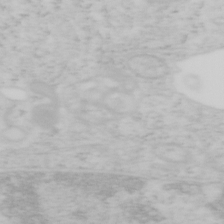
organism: Mouse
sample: OT-I killer T cells with ID8 ovarian cancer cells